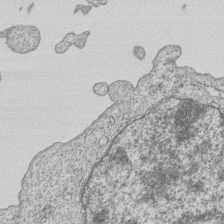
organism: Human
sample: MDA-MB-231 cells